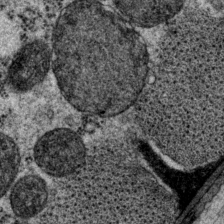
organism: P. pacificus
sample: Pharynx